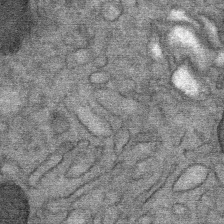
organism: Mouse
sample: Mouse Salivary gland